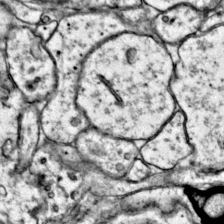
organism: Mouse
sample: Primary visual cortex